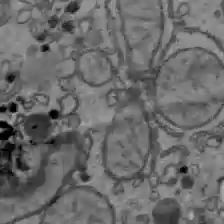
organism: C57BL Mouse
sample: Liver